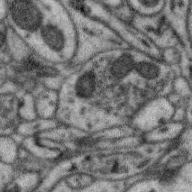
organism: Zebra finch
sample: Brain